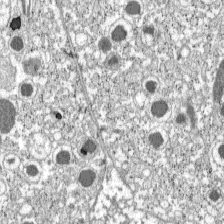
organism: C57BL Mouse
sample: Pancreatic islet